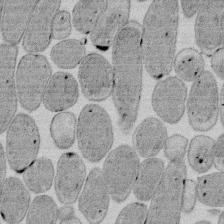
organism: E. coli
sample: Bacterial nucleoid